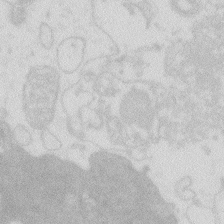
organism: Zebrafish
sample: Macrophage